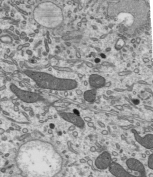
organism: Mouse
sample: Mouse epididymis efferent ductule cilia